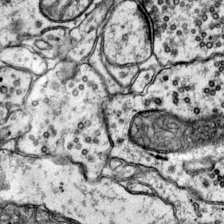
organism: Mouse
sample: Primary visual cortex